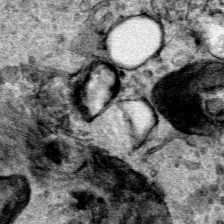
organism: Human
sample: Mitochondria in HCT116 cells